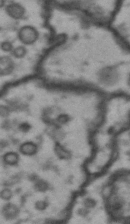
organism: Drosophila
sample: Brain